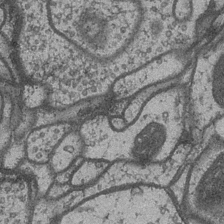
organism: Drosophila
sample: Optic medulla